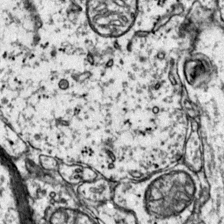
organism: Mouse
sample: Primary visual cortex